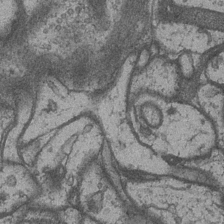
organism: Drosophila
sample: Optic medulla